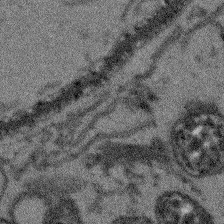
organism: Arabidopsis thaliana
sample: Root tip